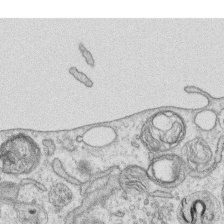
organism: Human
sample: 1205lu cells